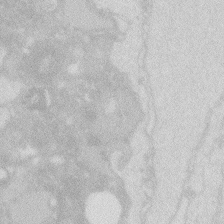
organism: Zebrafish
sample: Macrophage